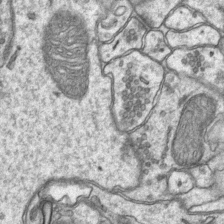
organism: Mouse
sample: CA1 Hippocampus